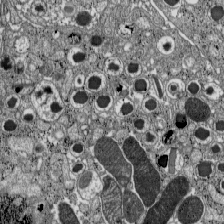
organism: C57BL Mouse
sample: Pancreatic islet